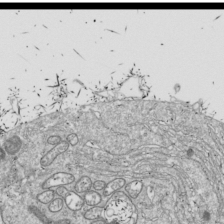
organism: Drosophila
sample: Cell division; meiosis; drosophila spermatocytes